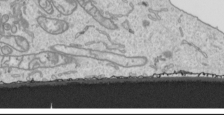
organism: Human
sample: Mitochondria in HCT116 cells